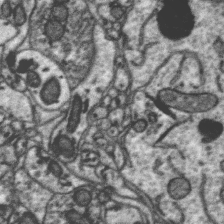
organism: Zebra finch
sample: Brain